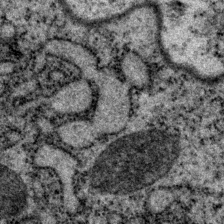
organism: P. pacificus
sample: Pharynx